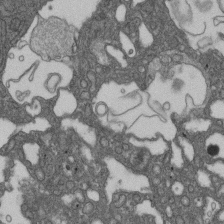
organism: Drosophila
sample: Nephrocyte